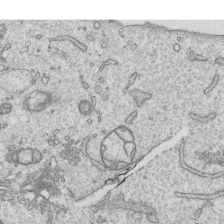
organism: Human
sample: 1205lu cells